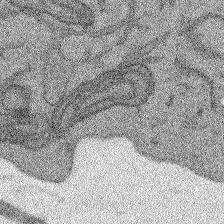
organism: Human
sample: HeLa cells